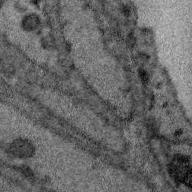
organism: Zebra finch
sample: Brain